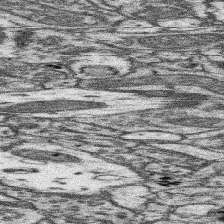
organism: Mouse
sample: Somatosensory cortex neuropil